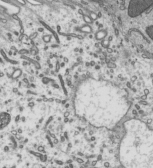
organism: Mouse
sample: Mouse epididymis efferent ductule cilia